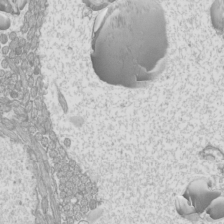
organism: Mouse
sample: Cilia; mouse epididymis